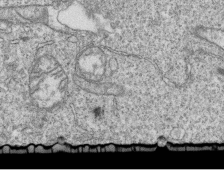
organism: Human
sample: HeLa cell HIV synapse